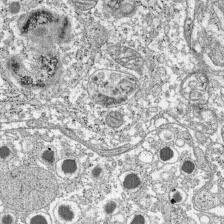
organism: C57BL Mouse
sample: Pancreatic islet